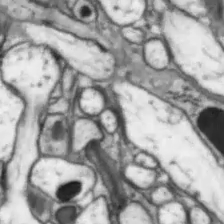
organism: Drosophila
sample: Optic lobe